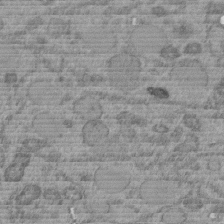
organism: C. elegans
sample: C. elegans embryo early stage